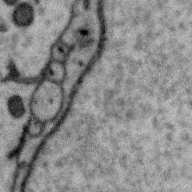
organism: Zebra finch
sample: Brain